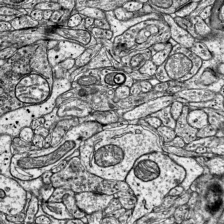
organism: Mouse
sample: Visual Cortex